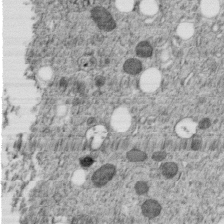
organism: C. elegans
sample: C. elegans embryo early stage